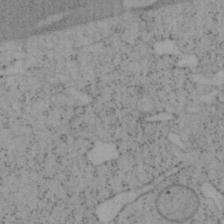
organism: Mouse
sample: OT-I killer T cells with ID8 ovarian cancer cells